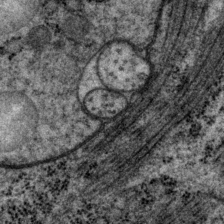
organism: P. pacificus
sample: Pharynx